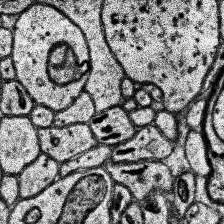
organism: Human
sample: Temporal Lobe